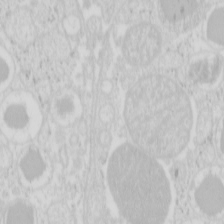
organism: Mouse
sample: Pancreas